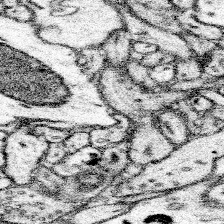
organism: Mouse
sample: Somatosensory cortex neuropil